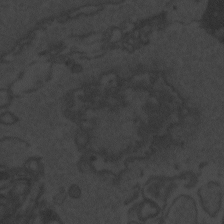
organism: Zebrafish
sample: Macrophage infected with Toxoplasma gondii